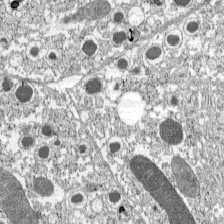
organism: C57BL Mouse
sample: Pancreatic islet